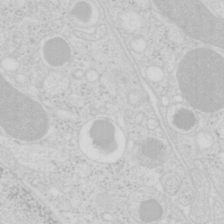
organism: Mouse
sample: Pancreas